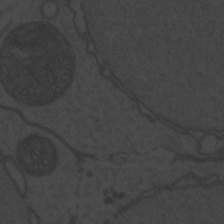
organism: Zebrafish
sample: Macrophage infected with Toxoplasma gondii